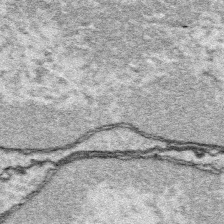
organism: Platynereis dumerilii